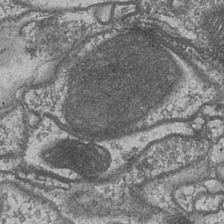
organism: Drosophila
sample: Optic medulla